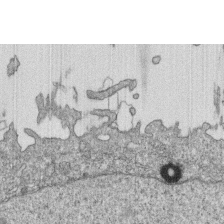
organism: Human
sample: HeLa cell HIV synapse